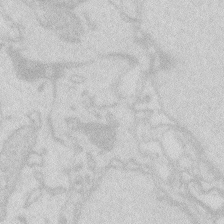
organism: Zebrafish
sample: Macrophage